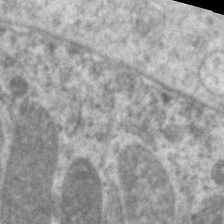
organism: C. elegans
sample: Pharynx